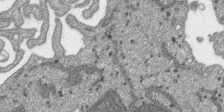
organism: Human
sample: Lung epithelial cells infected with SARS-CoV-2